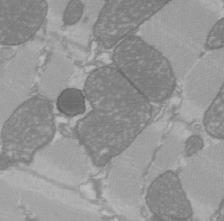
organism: C57BL Mouse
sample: Heart